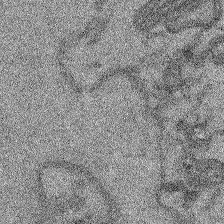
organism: Human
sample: HeLa cells